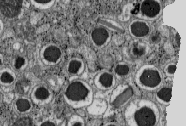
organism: C57BL Mouse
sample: Pancreatic islet